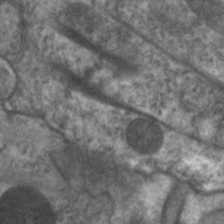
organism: C. elegans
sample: Pharynx